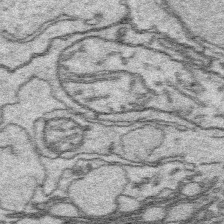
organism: Platynereis dumerilii